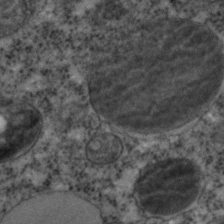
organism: C. elegans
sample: C. elegans embryo